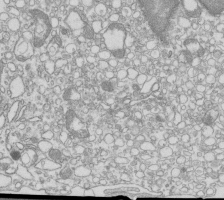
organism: Mouse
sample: Macrophages